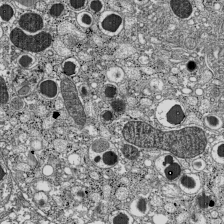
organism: C57BL Mouse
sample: Pancreatic islet